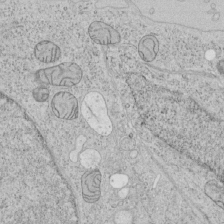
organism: Human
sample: Mitochondria in HCT116 cells